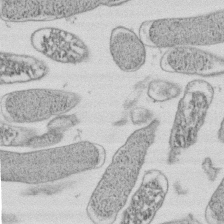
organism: E. coli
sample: Bacterial nucleoid